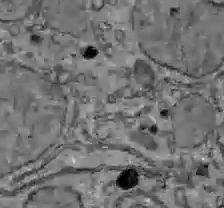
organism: C57BL Mouse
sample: Liver